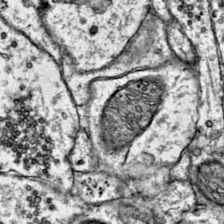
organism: Mouse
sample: Primary visual cortex